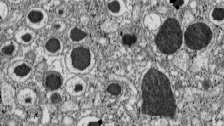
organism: C57BL Mouse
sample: Pancreatic islet